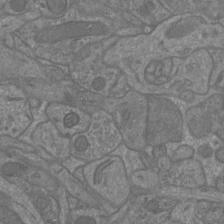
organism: Mouse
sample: Cortical neurons